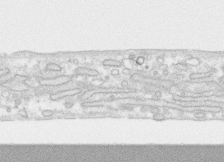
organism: Human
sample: CRL-1474